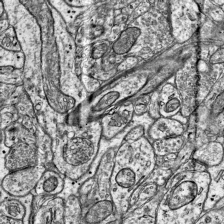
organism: Mouse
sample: Visual Cortex